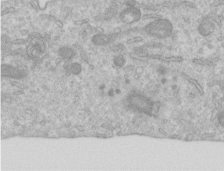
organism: Human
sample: Centriole in RPE cells